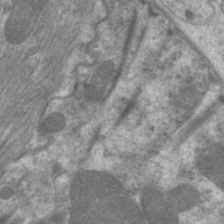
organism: C. elegans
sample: Pharynx